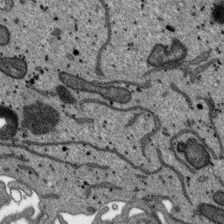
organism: Human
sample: Lung epithelial cells, uninfected (mock) control